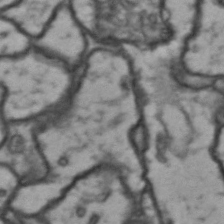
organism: Drosophila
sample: Brain